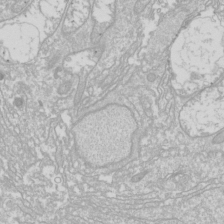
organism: Drosophila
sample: Cell division; meiosis; drosophila spermatocytes